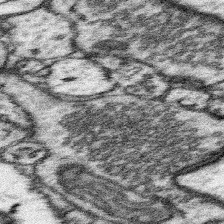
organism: Mouse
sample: Somatosensory cortex neuropil